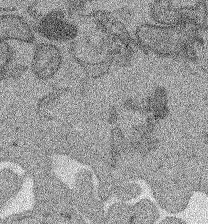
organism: Human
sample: HeLa cells